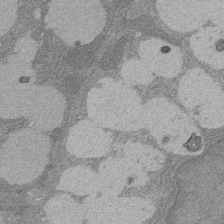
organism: Rat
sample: Salivary granule